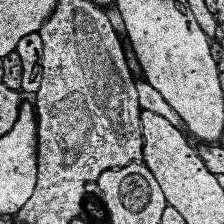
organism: Human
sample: Temporal Lobe